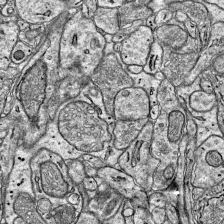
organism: Mouse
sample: Visual Cortex